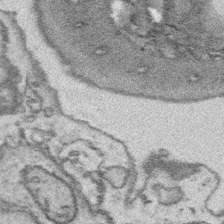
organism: Platynereis dumerilii